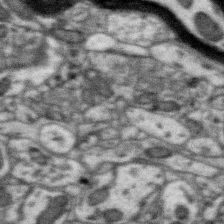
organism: Zebra finch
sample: Brain